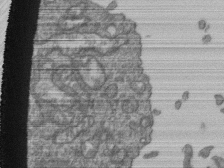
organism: Human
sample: Retinal organoid Rod and Cone cells